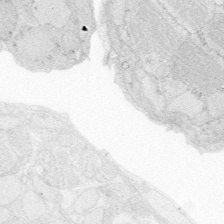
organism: Zebrafish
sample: Whole-Brain